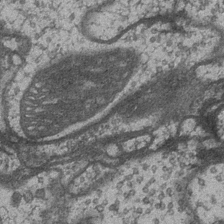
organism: Drosophila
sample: Optic medulla